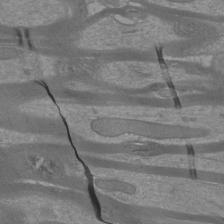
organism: Mouse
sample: Cortical neurons